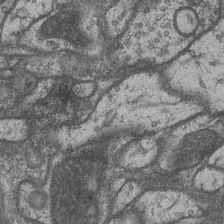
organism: Drosophila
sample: Optic medulla